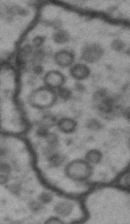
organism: Drosophila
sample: Brain